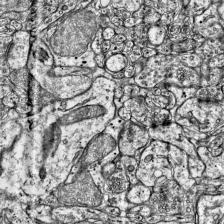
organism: Mouse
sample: Visual Cortex